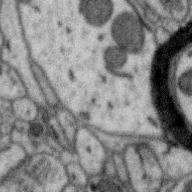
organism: Zebra finch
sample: Brain